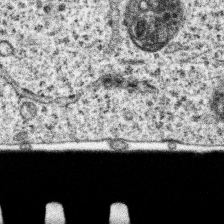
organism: Human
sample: HeLa cells